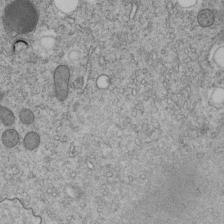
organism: C. elegans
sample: C. elegans embryo early stage